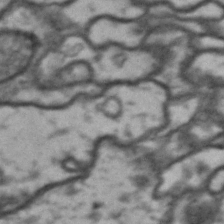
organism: Drosophila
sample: Brain